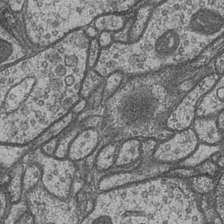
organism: Drosophila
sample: Optic medulla